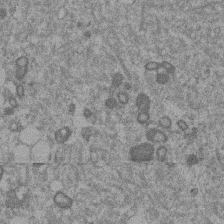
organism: Mouse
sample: Dividing mouse embryo 1 cell stage